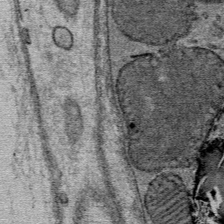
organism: Mouse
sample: Mouse Salivary gland